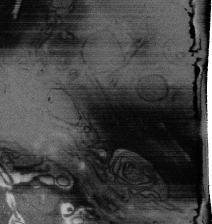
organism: Rat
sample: Salivary granule